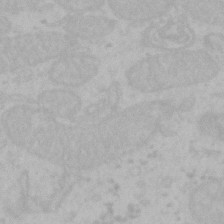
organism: Mouse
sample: Choroid plexus